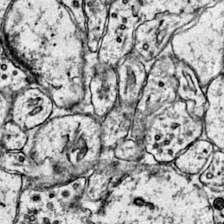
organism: Mouse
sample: Primary visual cortex